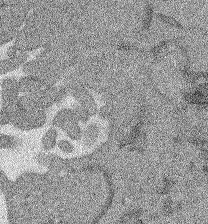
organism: Human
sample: HeLa cells